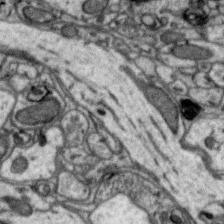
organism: Zebra finch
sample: Brain